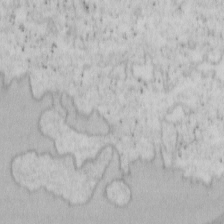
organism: Human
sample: HeLa cells